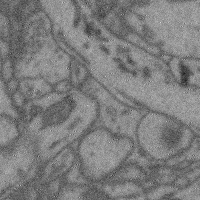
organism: Mouse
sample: Cerebral cortex